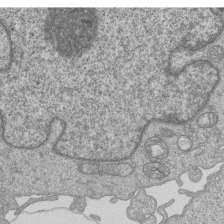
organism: Human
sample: MDA-MB-231 cells